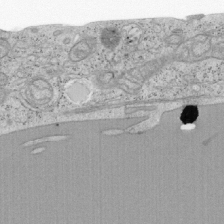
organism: Human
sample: HeLa cells